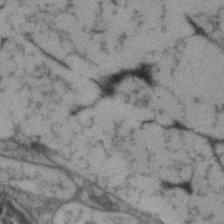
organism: Human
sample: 1205lu cells